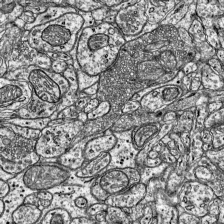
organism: Mouse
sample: Visual Cortex